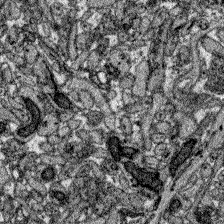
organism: Zebrafish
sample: Larval olfactory bulb